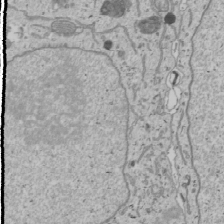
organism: Human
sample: Mitochondria in U2OS cells